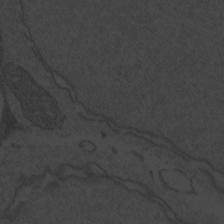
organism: Zebrafish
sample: Macrophage infected with Toxoplasma gondii